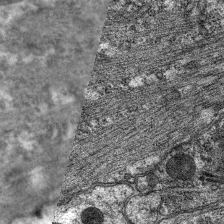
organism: C. elegans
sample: Pharynx